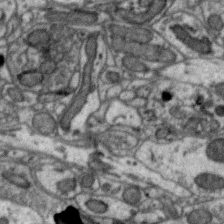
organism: Zebra finch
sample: Brain